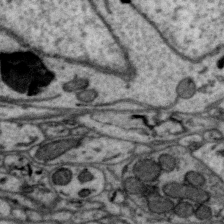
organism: Zebra finch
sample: Brain